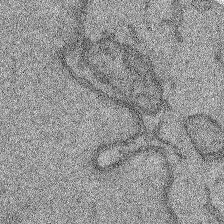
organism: Human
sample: HeLa cells